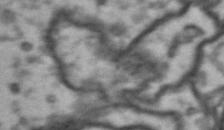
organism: Drosophila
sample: Brain